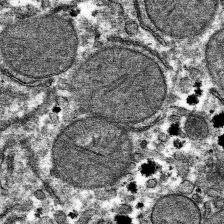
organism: Mouse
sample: Mouse hepatocytes